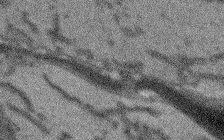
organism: Arabidopsis thaliana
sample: Root tip